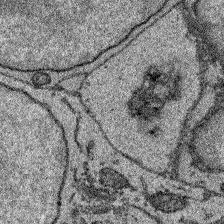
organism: Zebrafish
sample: Larval olfactory bulb